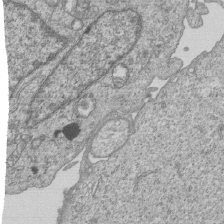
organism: Human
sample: MDA-MB-231 cells